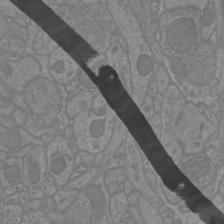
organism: Mouse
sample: Cortical neurons